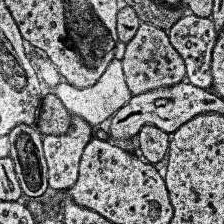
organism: Human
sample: Temporal Lobe